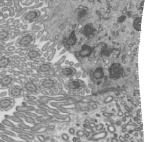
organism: Mouse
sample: Mouse epididymis efferent ductule cilia